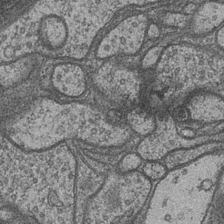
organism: Drosophila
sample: Optic medulla